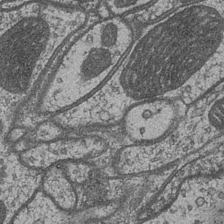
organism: Drosophila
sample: Optic medulla